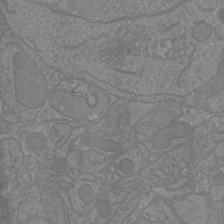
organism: Mouse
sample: Cortical neurons